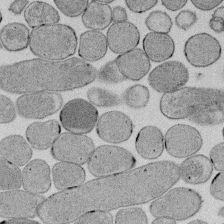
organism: E. coli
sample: Bacterial nucleoid